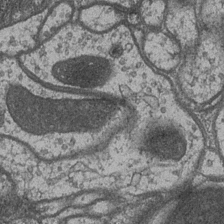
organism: Drosophila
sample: Optic medulla